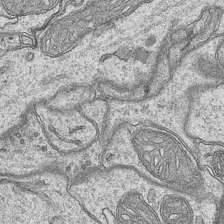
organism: Mouse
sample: CA1 Hippocampus